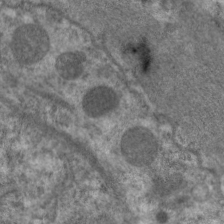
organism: C. elegans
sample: Pharynx